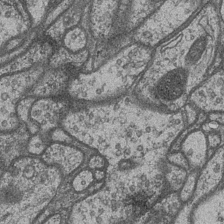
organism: Drosophila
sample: Optic medulla